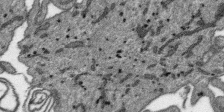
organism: Human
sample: Lung epithelial cells, uninfected (mock) control